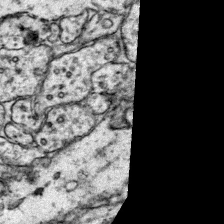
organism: Mouse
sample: Primary visual cortex